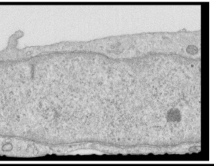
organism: Human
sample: Centriole in RPE cells